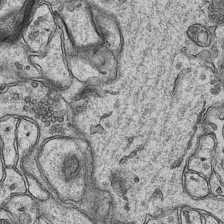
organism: Mouse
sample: CA1 Hippocampus